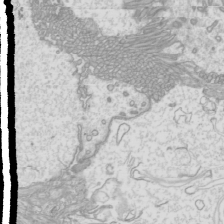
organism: Mouse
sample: Cilia; mouse epididymis